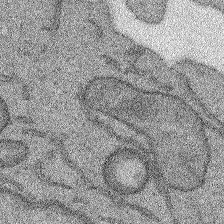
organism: Human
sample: HeLa cells